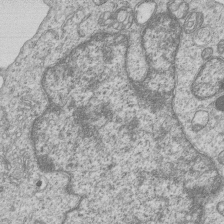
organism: Human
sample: MDA-MB-231 cells